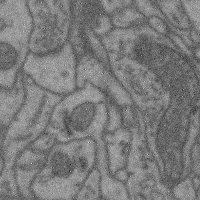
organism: Mouse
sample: Cerebral cortex